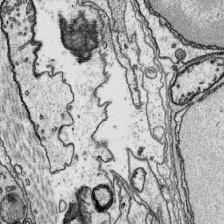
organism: Platynereis dumerilii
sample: Parapodia